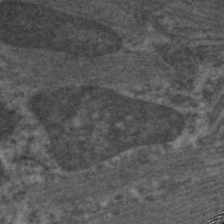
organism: C. elegans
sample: Pharynx